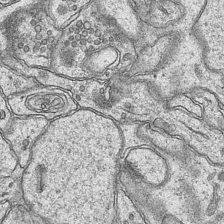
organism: Mouse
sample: CA1 Hippocampus